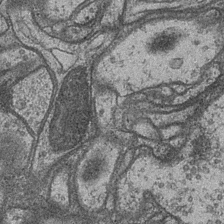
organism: Drosophila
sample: Optic medulla